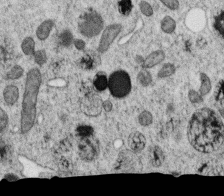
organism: C. elegans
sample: C. elegans oocyte; sperm cells